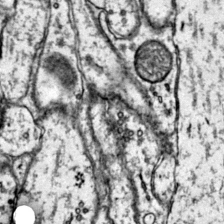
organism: Mouse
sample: Primary visual cortex